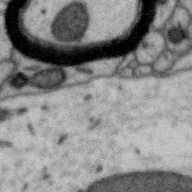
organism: Zebra finch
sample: Brain